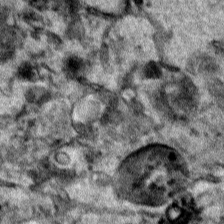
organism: Human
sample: Mitochondria in HCT116 cells